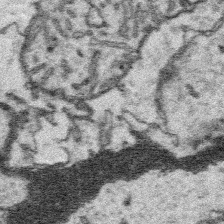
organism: Platynereis dumerilii